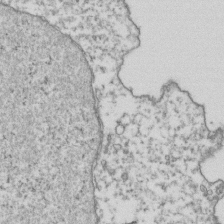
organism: Human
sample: Activated Jurkat CD4+ T cells